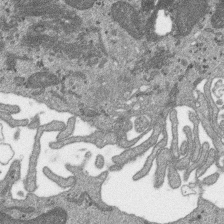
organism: Human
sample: Lung epithelial cells infected with SARS-CoV-2